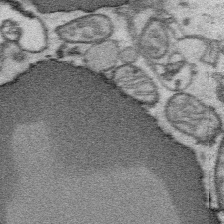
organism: Platynereis dumerilii